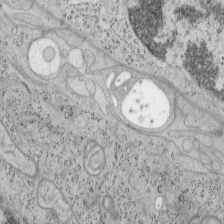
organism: Mouse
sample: OT-I killer T cells with ID8 ovarian cancer cells